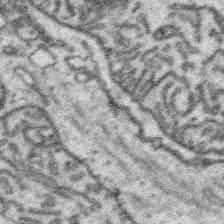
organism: Platynereis dumerilii